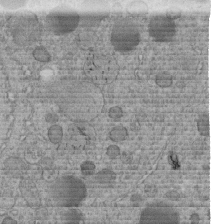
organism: C. elegans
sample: C. elegans embryo early stage